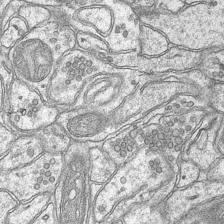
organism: Mouse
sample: CA1 Hippocampus